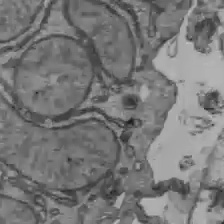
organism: C57BL Mouse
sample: Liver